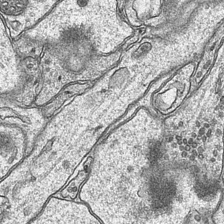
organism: Mouse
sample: CA1 Hippocampus